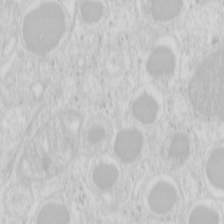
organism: Mouse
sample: Pancreas